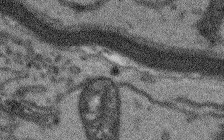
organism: Arabidopsis thaliana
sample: Root tip